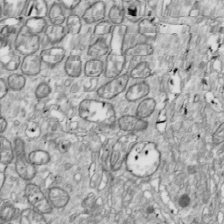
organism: Drosophila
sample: Cell division; meiosis; drosophila spermatocytes